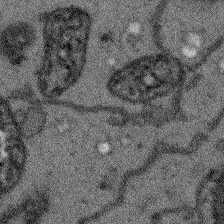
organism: Arabidopsis thaliana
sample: Root tip